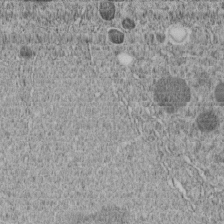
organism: C. elegans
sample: C. elegans embryo early stage